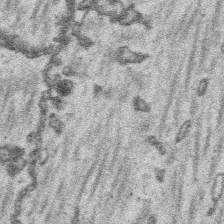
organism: Platynereis dumerilii